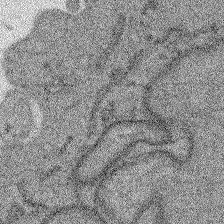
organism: Human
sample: HeLa cells